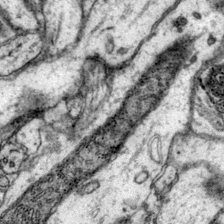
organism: Mouse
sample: Primary visual cortex